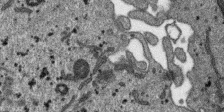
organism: Human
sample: Lung epithelial cells infected with SARS-CoV-2